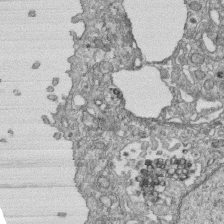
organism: Human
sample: HeLa cell HIV synapse